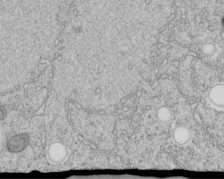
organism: C. elegans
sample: C. elegans embryo early stage